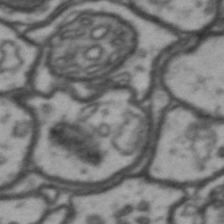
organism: Drosophila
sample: Brain